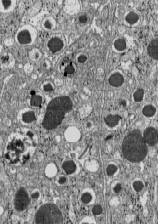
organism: C57BL Mouse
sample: Pancreatic islet